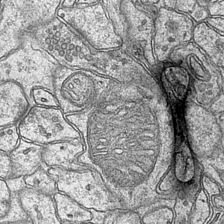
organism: Mouse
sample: CA1 Hippocampus